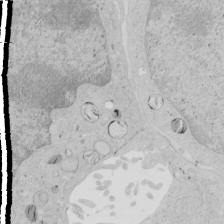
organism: Human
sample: Mitochondria in HCT116 cells